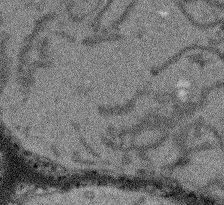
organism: Arabidopsis thaliana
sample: Root tip